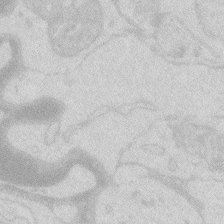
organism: Zebrafish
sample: Macrophage